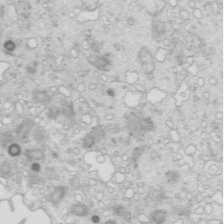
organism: Mouse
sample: Multiciliated cells